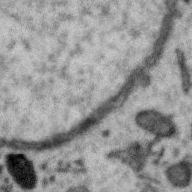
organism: Zebra finch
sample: Brain